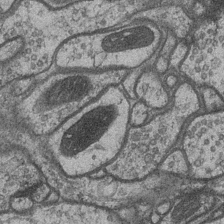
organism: Drosophila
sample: Optic medulla